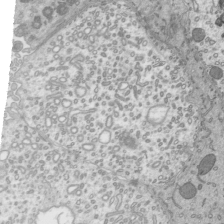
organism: Mouse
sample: Mouse epididymis efferent ductule cilia